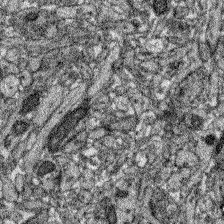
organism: Zebrafish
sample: Larval olfactory bulb